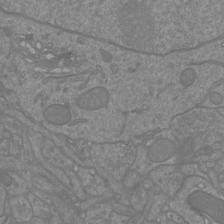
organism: Mouse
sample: Cortical neurons